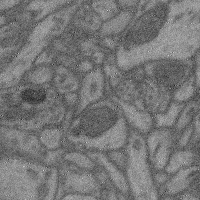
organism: Mouse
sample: Cerebral cortex